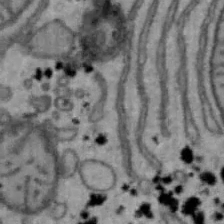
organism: Mouse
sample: Liver